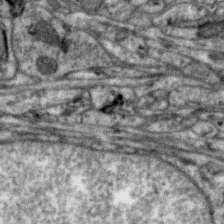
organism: Zebra finch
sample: Brain